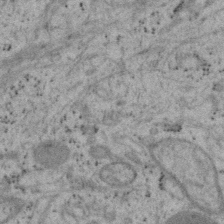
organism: Human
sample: HeLa cells